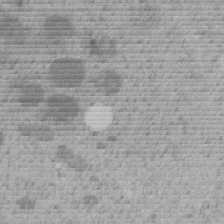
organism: C. elegans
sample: C. elegans embryo early stage